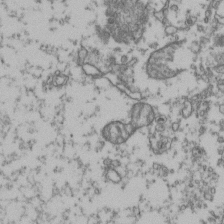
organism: Human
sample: Activated Jurkat CD4+ T cells